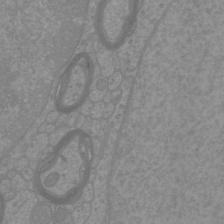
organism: Mouse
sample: Cortical neurons